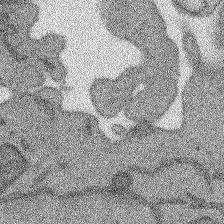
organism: Human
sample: HeLa cells